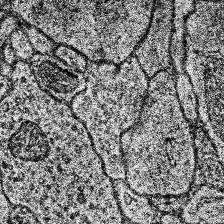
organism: Human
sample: Temporal Lobe